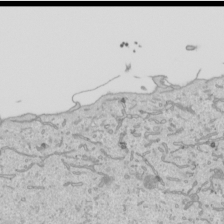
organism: Human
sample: Mitochondria in HCT116 cells